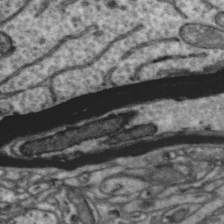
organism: Zebra finch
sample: Brain